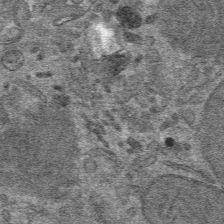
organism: Mouse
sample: Mouse hepatocytes